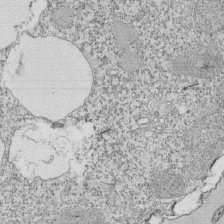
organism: Tetrahymena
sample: Cilia in tetrahymena